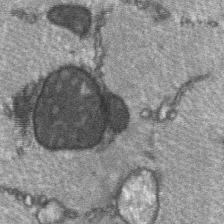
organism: C57BL Mouse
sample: Soleus